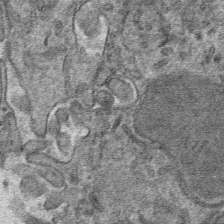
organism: Mouse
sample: Mouse hepatocytes